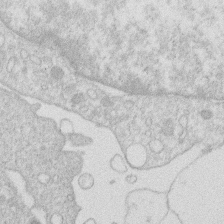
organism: Human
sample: Macrophage cells